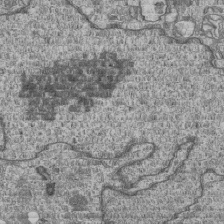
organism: Human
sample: MDA-MB-231 cells